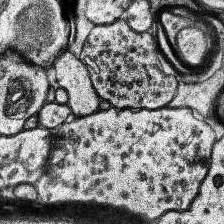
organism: Human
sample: Temporal Lobe